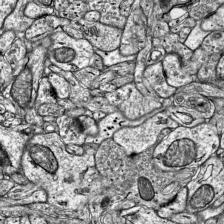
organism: Mouse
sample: Visual Cortex